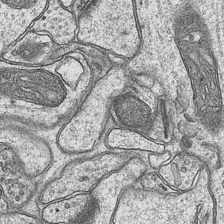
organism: Mouse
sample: CA1 Hippocampus